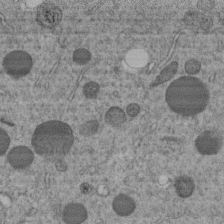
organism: C. elegans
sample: C. elegans embryo early stage